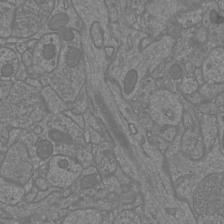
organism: Mouse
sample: Cortical neurons